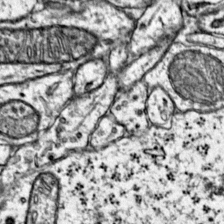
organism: Mouse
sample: Primary visual cortex